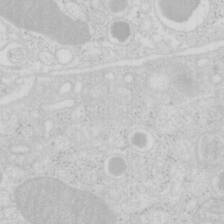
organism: Mouse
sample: Pancreas